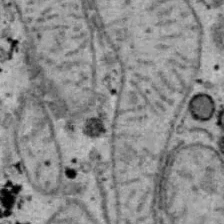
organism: Mouse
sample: Liver from an obese (ob/ob) mouse